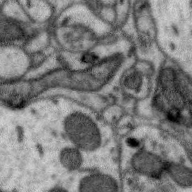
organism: Zebra finch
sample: Brain